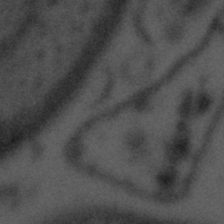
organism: Tuwongella immobilis